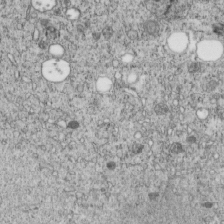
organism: C. elegans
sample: C. elegans embryo early stage